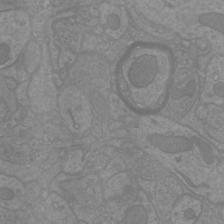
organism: Mouse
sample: Cortical neurons